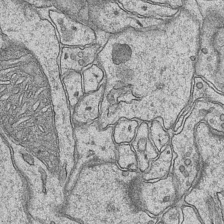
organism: Mouse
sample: CA1 Hippocampus